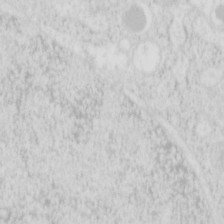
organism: Mouse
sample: Pancreas